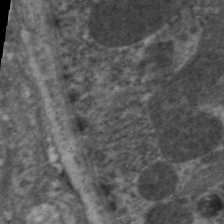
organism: C. elegans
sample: Pharynx